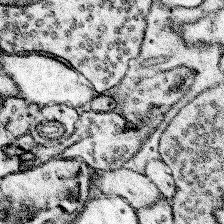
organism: Mouse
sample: Somatosensory cortex neuropil